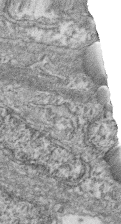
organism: Zebrafish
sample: Cilia; retinal pigment epithelium